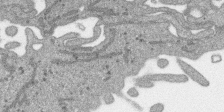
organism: Human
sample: Lung epithelial cells infected with SARS-CoV-2